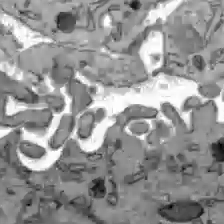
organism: C57BL Mouse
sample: Liver